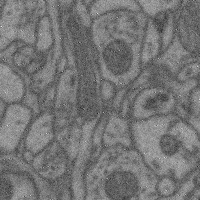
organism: Mouse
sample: Cerebral cortex